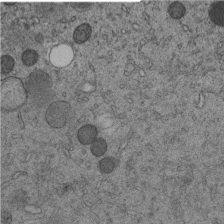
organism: C. elegans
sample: C. elegans embryo early stage